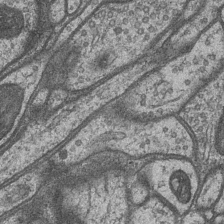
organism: Drosophila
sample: Optic medulla